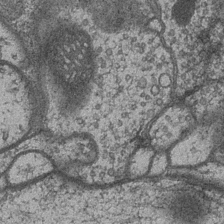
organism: Drosophila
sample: Optic medulla